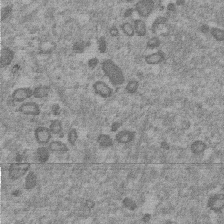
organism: Mouse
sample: Dividing mouse embryo 1 cell stage